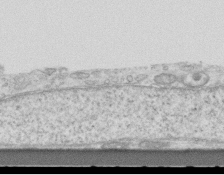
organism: Mouse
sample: Centriole in ependymal cells